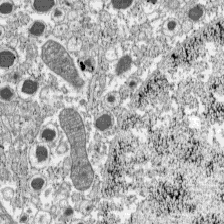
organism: C57BL Mouse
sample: Pancreatic islet